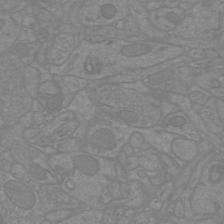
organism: Mouse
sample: Cortical neurons